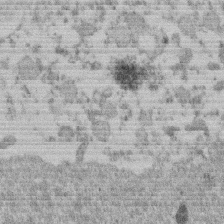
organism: Mouse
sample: Dividing mouse embryo 1 cell stage